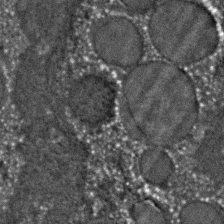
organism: C. elegans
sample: C. elegans embryo